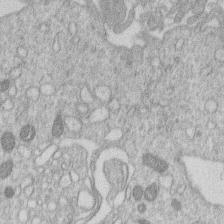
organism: Human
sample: Macrophage cells